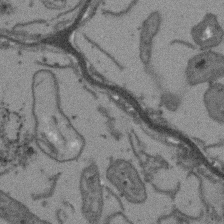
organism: Arabidopsis thaliana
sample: Root tip